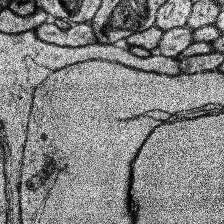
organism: Human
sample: Temporal Lobe